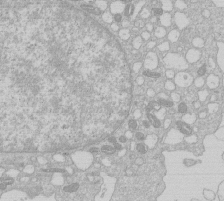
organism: Human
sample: Macrophage cells